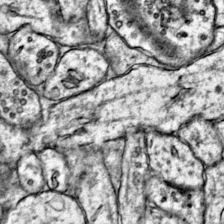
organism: Mouse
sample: Primary visual cortex